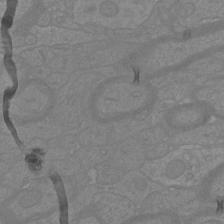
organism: Mouse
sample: Cortical neurons